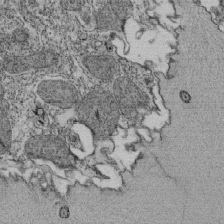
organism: Tetrahymena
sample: Cilia in tetrahymena